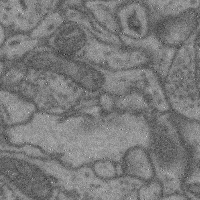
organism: Mouse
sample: Cerebral cortex